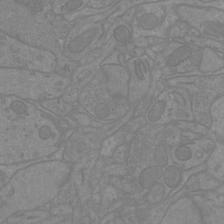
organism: Mouse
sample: Cortical neurons